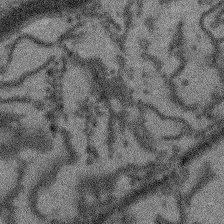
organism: Arabidopsis thaliana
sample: Root tip